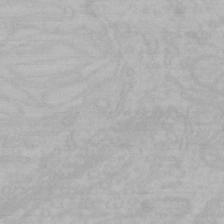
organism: Mouse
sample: Choroid plexus